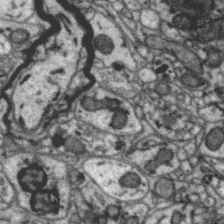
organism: Zebra finch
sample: Brain